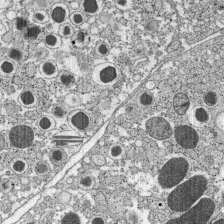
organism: C57BL Mouse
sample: Pancreatic islet